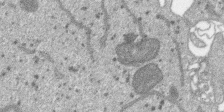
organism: Human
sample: Lung epithelial cells infected with SARS-CoV-2